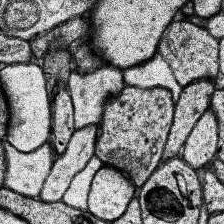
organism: Human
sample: Temporal Lobe